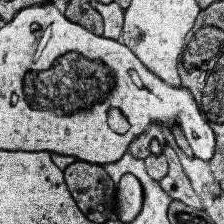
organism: Human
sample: Temporal Lobe